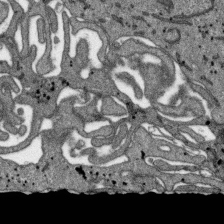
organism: Human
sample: Lung epithelial cells, uninfected (mock) control